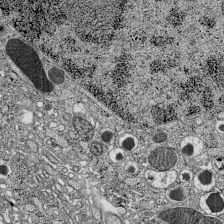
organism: C57BL Mouse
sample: Pancreatic islet